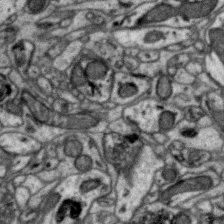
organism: Zebra finch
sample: Brain